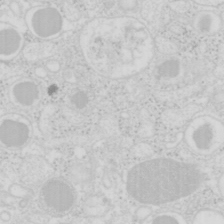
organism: Mouse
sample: Pancreas